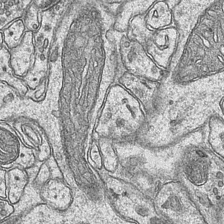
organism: Mouse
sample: CA1 Hippocampus